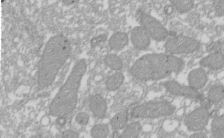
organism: Xenopus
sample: Cilia; centrioles in frog embryo cells